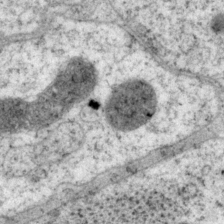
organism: P. pacificus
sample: Pharynx